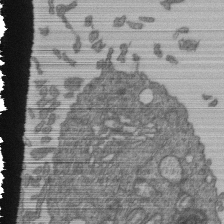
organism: Human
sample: Retinal organoid Rod and Cone cells